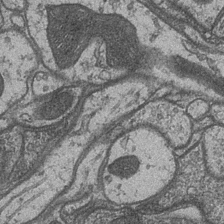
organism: Drosophila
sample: Optic medulla